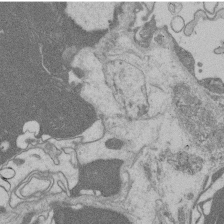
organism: Rat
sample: Salivary granule